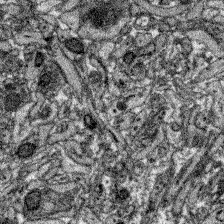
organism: Zebrafish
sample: Larval olfactory bulb